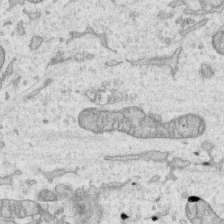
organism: Human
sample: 1205lu cells